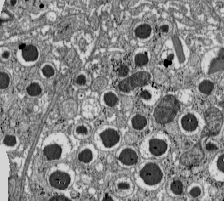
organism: C57BL Mouse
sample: Pancreatic islet